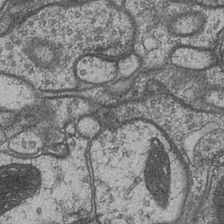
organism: Drosophila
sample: Optic medulla